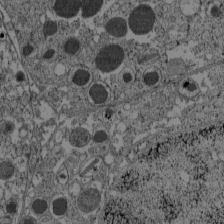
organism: C57BL Mouse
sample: Pancreatic islet